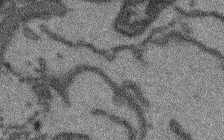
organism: Arabidopsis thaliana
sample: Root tip